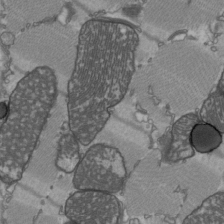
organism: C57BL Mouse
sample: Heart